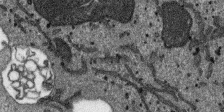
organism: Human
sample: Lung epithelial cells infected with SARS-CoV-2